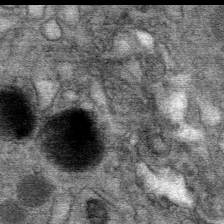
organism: Mouse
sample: Mouse Salivary gland